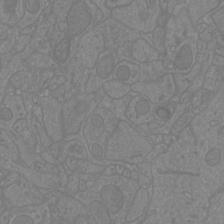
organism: Mouse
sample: Cortical neurons